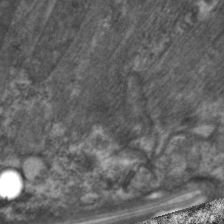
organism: C. elegans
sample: Pharynx